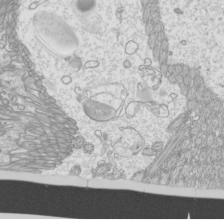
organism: Mouse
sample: Cilia; mouse epididymis